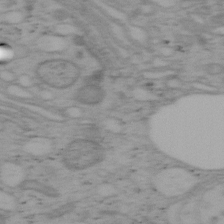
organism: Mouse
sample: OT-I killer T cells with ID8 ovarian cancer cells